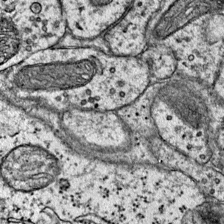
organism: Mouse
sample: Primary visual cortex